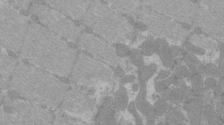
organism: C57BL Mouse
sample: Tibialis anterior muscle cell